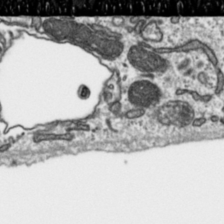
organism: Toxoplasma gondii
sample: Parasites in a vacuole inside a host cell